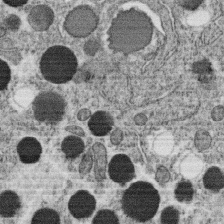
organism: C. elegans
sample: C. elegans oocyte; sperm cells